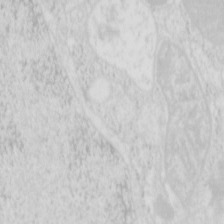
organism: Mouse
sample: Pancreas